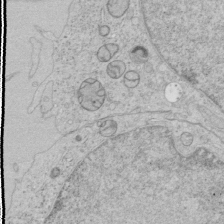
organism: Human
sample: Mitochondria in HCT116 cells